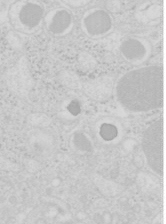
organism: Mouse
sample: Pancreas